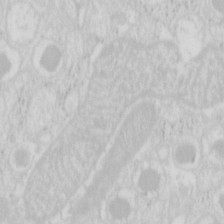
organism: Mouse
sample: Pancreas